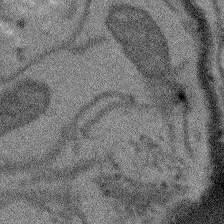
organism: Arabidopsis thaliana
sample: Root tip